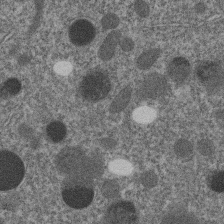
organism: C. elegans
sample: C. elegans embryo early stage